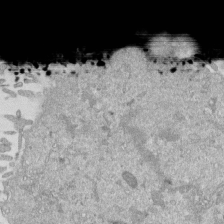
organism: Mouse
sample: ED-1 cell nuclei; centrioles